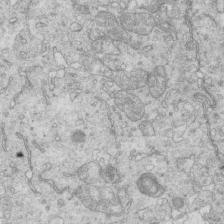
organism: Mouse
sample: Multiciliated cells